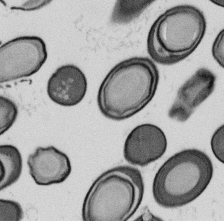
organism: B. subtilis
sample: Bacterial spore